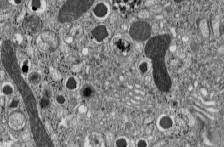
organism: C57BL Mouse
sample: Pancreatic islet